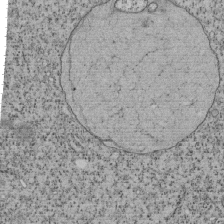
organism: Tetrahymena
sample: Cilia in tetrahymena